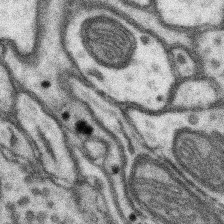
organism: Mouse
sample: Somatosensory cortex neuropil